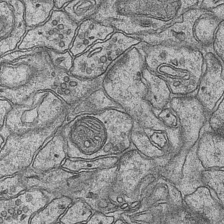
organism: Mouse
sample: CA1 Hippocampus